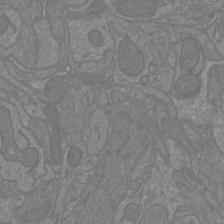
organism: Mouse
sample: Cortical neurons